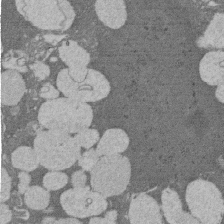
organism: Rat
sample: Salivary granule